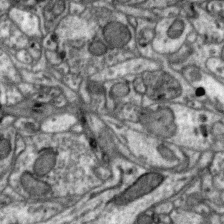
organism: Zebra finch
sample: Brain